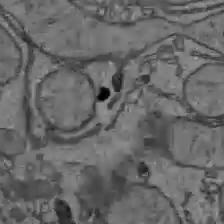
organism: C57BL Mouse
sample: Liver